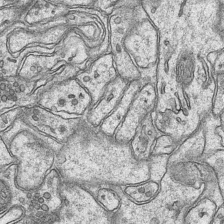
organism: Mouse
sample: CA1 Hippocampus